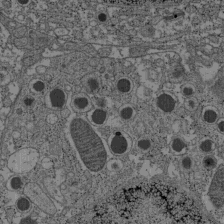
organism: C57BL Mouse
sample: Pancreatic islet